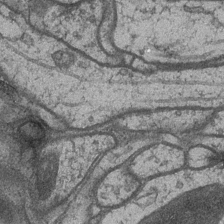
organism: Drosophila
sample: Optic medulla